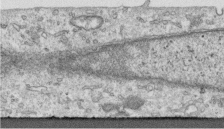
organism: Human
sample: Centriole in RPE cells